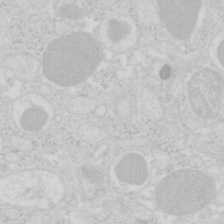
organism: Mouse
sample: Pancreas